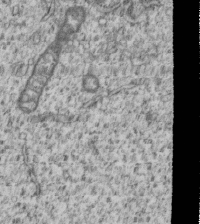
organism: Human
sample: MDA-MB-231 cells